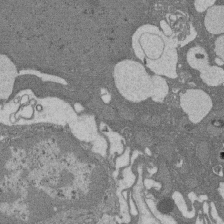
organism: Rat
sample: Salivary granule